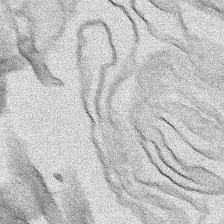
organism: Human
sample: Mitochondria in HCT116 cells